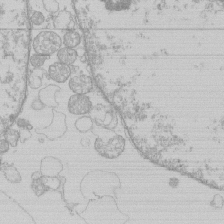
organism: Human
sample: Macrophage cells